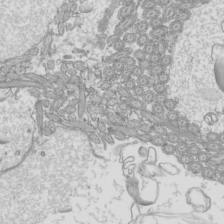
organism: Mouse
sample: Cilia; mouse epididymis